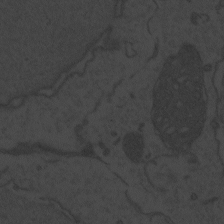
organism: Zebrafish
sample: Macrophage infected with Toxoplasma gondii